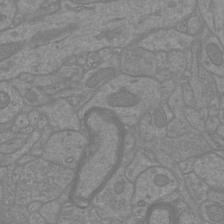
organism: Mouse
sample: Cortical neurons